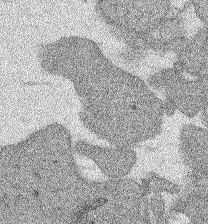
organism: Human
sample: HeLa cells